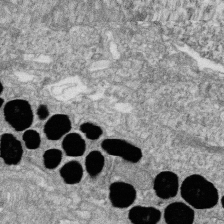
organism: Zebrafish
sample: Cilia; retinal pigment epithelium